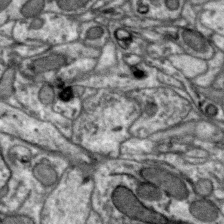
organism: Zebra finch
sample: Brain